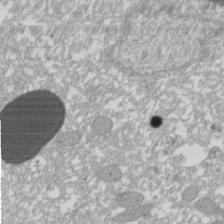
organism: Xenopus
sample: Cilia; centrioles in frog embryo cells